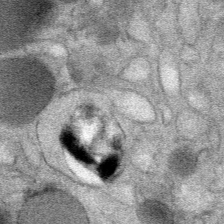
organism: Mouse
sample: Mouse Salivary gland